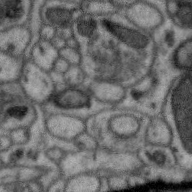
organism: Zebra finch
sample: Brain